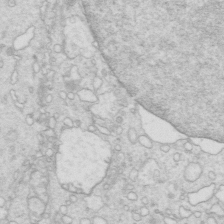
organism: Mouse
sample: Multiciliated cells